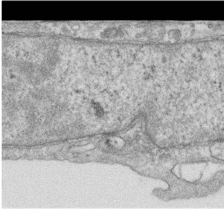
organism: Human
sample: Centriole in RPE cells